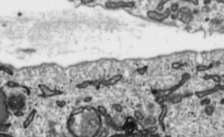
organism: Toxoplasma gondii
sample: Parasites in a vacuole inside a host cell